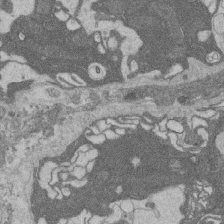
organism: Rat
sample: Salivary granule